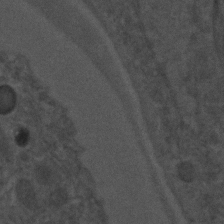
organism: C. elegans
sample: C. elegans embryo